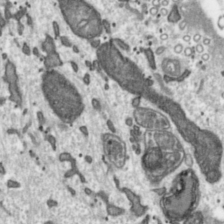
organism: Toxoplasma gondii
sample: Parasites in a vacuole inside a host cell